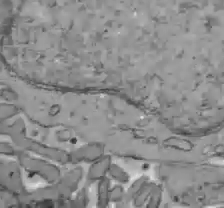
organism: C57BL Mouse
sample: Liver